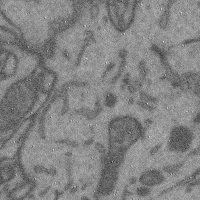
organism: Mouse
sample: Cerebral cortex